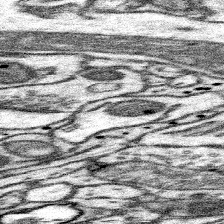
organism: Mouse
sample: Somatosensory cortex neuropil